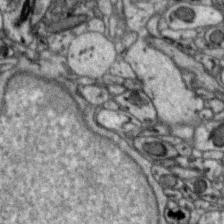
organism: Zebra finch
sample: Brain